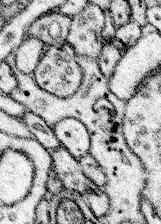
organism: Mouse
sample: Somatosensory cortex neuropil